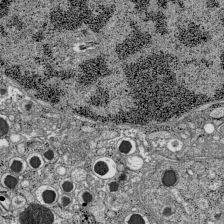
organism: C57BL Mouse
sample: Pancreatic islet